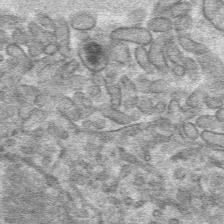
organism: Mouse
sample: Mouse hepatocytes